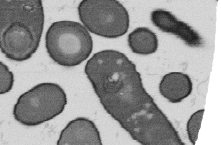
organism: B. subtilis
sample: Bacterial spore